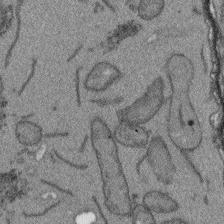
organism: Arabidopsis thaliana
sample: Root tip